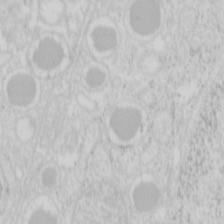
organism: Mouse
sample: Pancreas